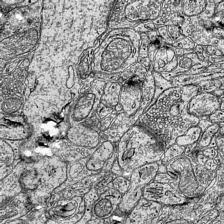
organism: Mouse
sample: Visual Cortex